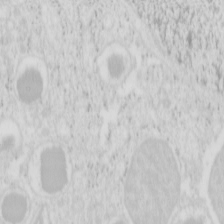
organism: Mouse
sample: Pancreas